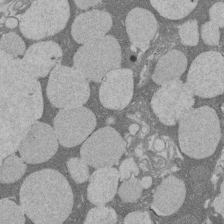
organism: Rat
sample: Salivary granule